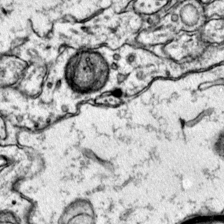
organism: Mouse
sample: Primary visual cortex